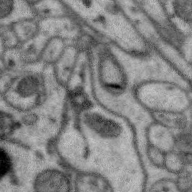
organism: Zebra finch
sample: Brain